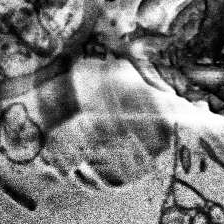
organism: Human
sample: Temporal Lobe